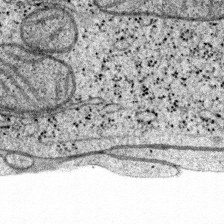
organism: Human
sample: HeLa cells